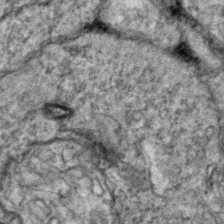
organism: Zebrafish